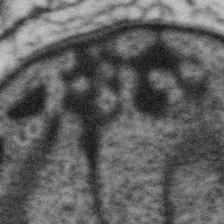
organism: Gemmata obscuriglobus